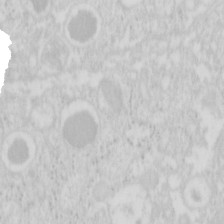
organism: Mouse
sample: Pancreas